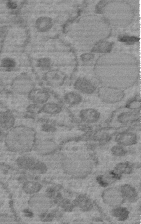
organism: C. elegans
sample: C. elegans embryo early stage